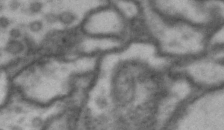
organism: Drosophila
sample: Brain